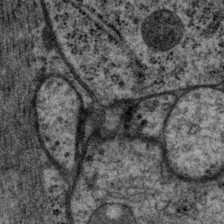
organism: P. pacificus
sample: Pharynx